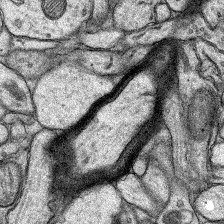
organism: Rat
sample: Hippocampus